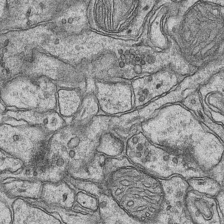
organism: Mouse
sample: CA1 Hippocampus